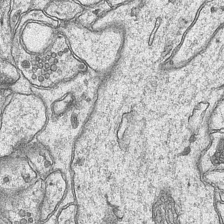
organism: Mouse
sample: CA1 Hippocampus